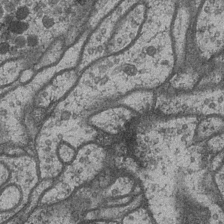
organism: Drosophila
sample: Optic medulla